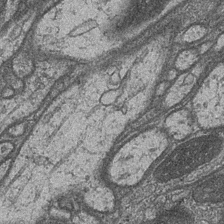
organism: Drosophila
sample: Optic medulla